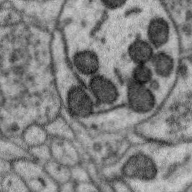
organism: Zebra finch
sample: Brain